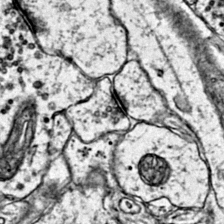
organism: Mouse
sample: Primary visual cortex